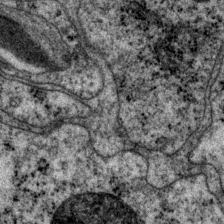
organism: P. pacificus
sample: Pharynx